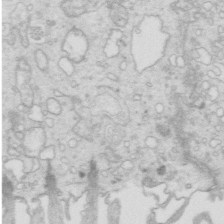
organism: Mouse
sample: Multiciliated cells